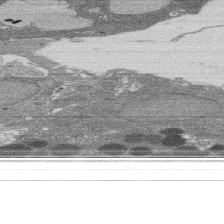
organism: Rat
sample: Salivary granule